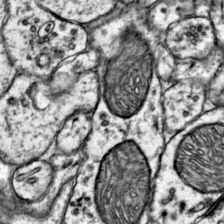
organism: Mouse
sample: Primary visual cortex